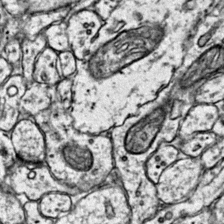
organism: Mouse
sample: Primary visual cortex